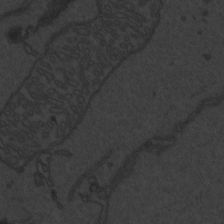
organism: Zebrafish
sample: Macrophage infected with Toxoplasma gondii